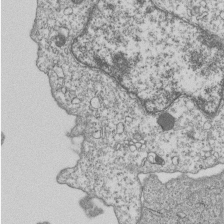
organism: Human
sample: MDA-MB-231 cells